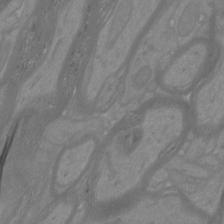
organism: Mouse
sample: Cortical neurons